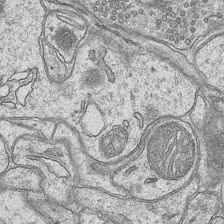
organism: Mouse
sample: CA1 Hippocampus